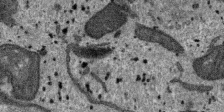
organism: Human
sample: Lung epithelial cells, uninfected (mock) control